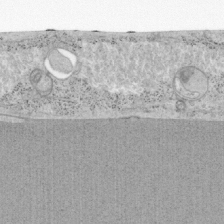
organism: Human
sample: HeLa cells